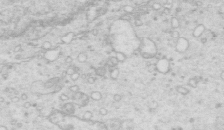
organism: Mouse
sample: Multiciliated cells